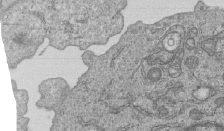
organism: Human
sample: MDA-MB-231 cells